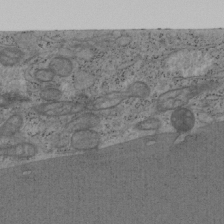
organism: Human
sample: HeLa cells